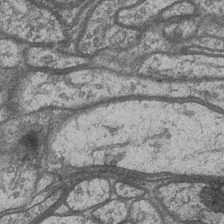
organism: Drosophila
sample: Optic medulla